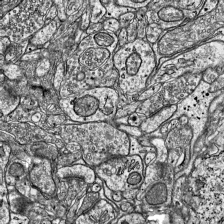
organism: Mouse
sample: Visual Cortex